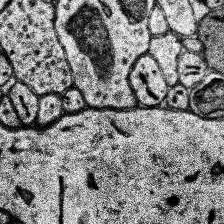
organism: Human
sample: Temporal Lobe